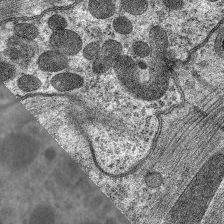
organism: C. elegans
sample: Pharynx